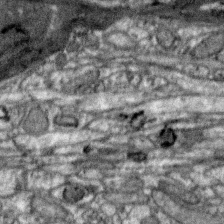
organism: Zebra finch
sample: Brain